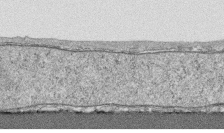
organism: Human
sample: CRL-1474